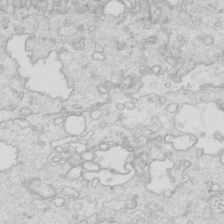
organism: Mouse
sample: Multiciliated cells